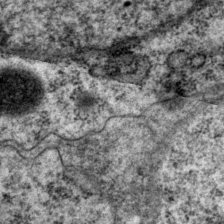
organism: P. pacificus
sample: Pharynx